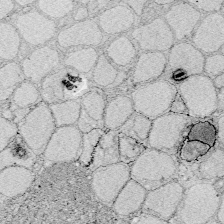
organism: Zebrafish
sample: Whole-Brain